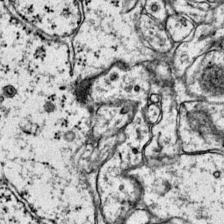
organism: Mouse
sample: Primary visual cortex